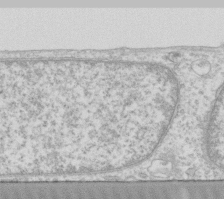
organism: Human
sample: Fibroblast cells